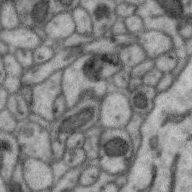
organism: Zebra finch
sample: Brain